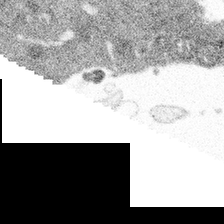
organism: Spongilla lacustris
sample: Multiple